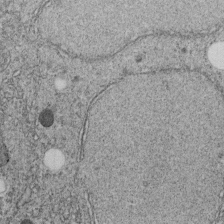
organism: C. elegans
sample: C. elegans embryo early stage